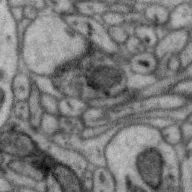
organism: Zebra finch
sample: Brain